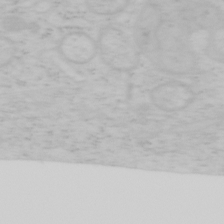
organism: Mouse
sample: OT-I killer T cells with ID8 ovarian cancer cells